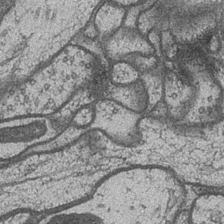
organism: Drosophila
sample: Optic medulla